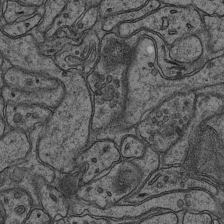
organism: Mouse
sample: CA1 Hippocampus